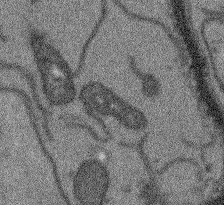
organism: Arabidopsis thaliana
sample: Root tip